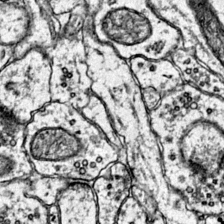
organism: Mouse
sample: Primary visual cortex